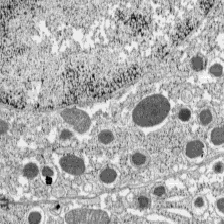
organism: C57BL Mouse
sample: Pancreatic islet